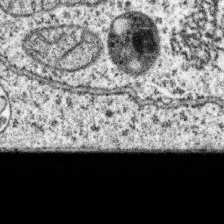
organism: Human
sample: HeLa cells